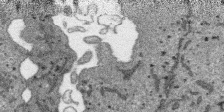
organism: Human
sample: Lung epithelial cells infected with SARS-CoV-2